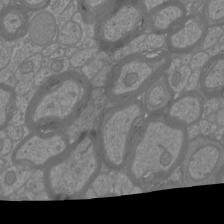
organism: Mouse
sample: Cortical neurons